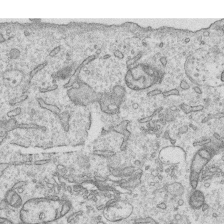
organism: Human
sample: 1205lu cells